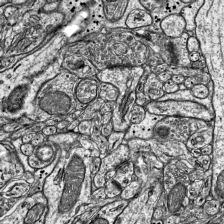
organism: Mouse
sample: Visual Cortex